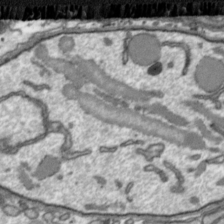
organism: Toxoplasma gondii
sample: Parasites in a vacuole inside a host cell